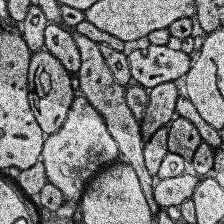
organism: Human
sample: Temporal Lobe